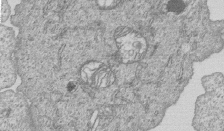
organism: Human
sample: MDA-MB-231 cells